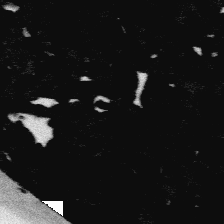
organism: Platynereis dumerilii